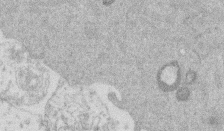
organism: Mouse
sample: Dividing mouse embryo 1 cell stage